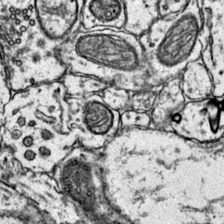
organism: Mouse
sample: Primary visual cortex